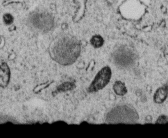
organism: C. elegans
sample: C. elegans embryo early stage